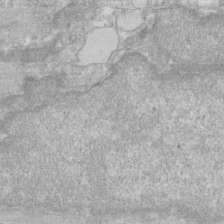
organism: Human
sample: Fibroblast cells